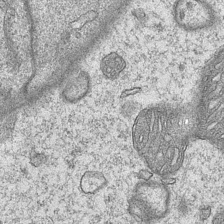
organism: Mouse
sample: CA1 Hippocampus